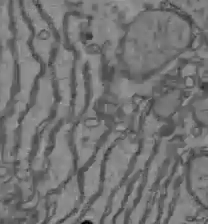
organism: C57BL Mouse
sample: Liver